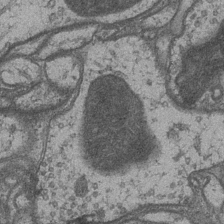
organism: Drosophila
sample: Optic medulla